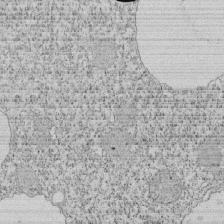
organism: Tetrahymena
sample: Cilia in tetrahymena